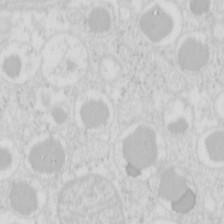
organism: Mouse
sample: Pancreas